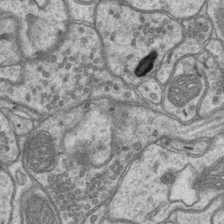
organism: Mouse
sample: CA1 Hippocampus